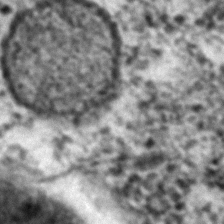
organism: C. elegans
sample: C. elegans embryo